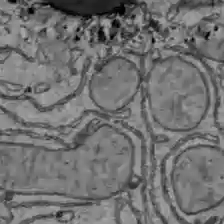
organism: C57BL Mouse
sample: Liver